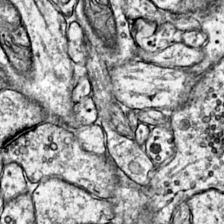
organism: Mouse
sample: Primary visual cortex